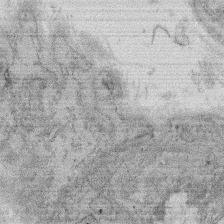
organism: Rat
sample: Salivary granule